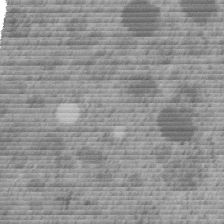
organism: C. elegans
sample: C. elegans embryo early stage